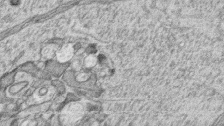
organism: Zebrafish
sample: synaptic ribbons in rod cells and cone cells